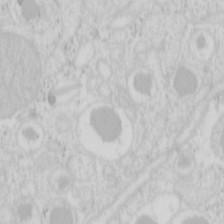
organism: Mouse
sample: Pancreas